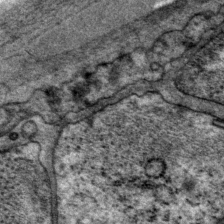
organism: P. pacificus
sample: Pharynx